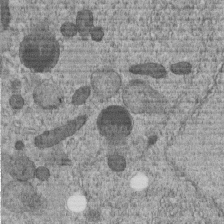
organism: C. elegans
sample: C. elegans embryo early stage